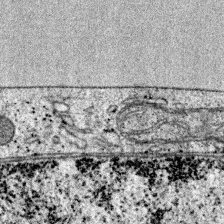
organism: Human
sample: HeLa cells